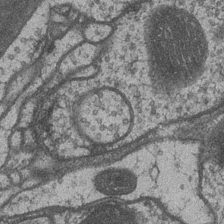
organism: Drosophila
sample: Optic medulla